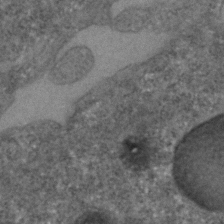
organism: C. elegans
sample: C. elegans embryo